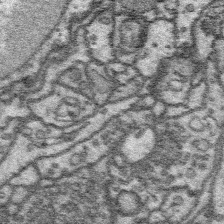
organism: Platynereis dumerilii